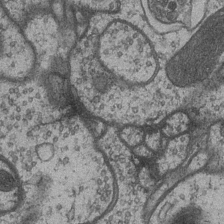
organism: Drosophila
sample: Optic medulla